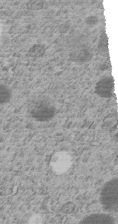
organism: C. elegans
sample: C. elegans embryo early stage